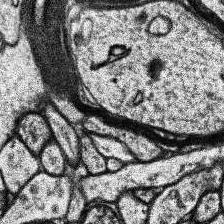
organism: Human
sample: Temporal Lobe